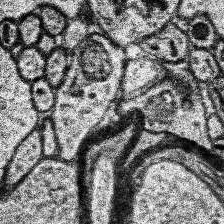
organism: Human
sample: Temporal Lobe